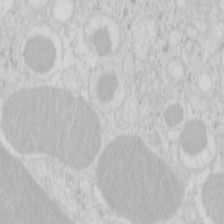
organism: Mouse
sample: Pancreas